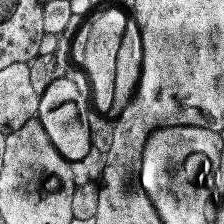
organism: Human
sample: Temporal Lobe